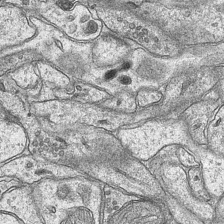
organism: Mouse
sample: CA1 Hippocampus